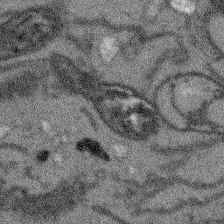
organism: Arabidopsis thaliana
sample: Root tip